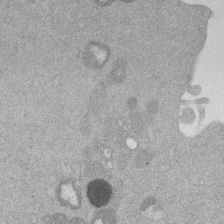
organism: Mouse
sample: Dividing mouse embryo 1 cell stage